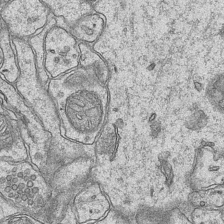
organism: Mouse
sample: CA1 Hippocampus